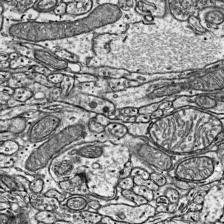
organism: Mouse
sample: Visual Cortex